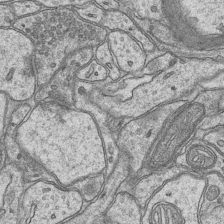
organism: Mouse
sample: CA1 Hippocampus